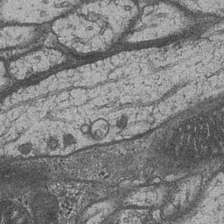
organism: Drosophila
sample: Optic medulla